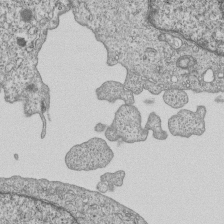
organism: Human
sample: MDA-MB-231 cells